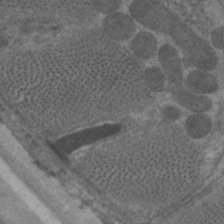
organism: C. elegans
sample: Pharynx